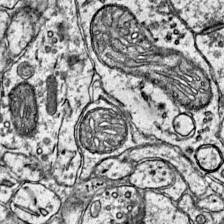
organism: Mouse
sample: Primary visual cortex